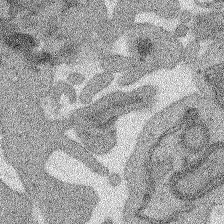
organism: Human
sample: HeLa cells